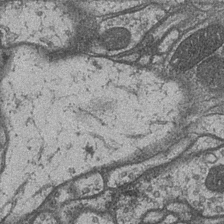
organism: Drosophila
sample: Optic medulla